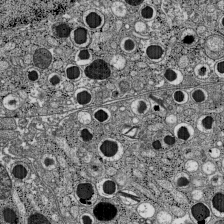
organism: C57BL Mouse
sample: Pancreatic islet